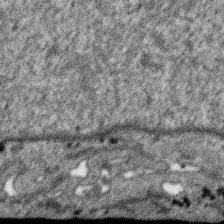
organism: Human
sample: Lung epithelial cells infected with SARS-CoV-2